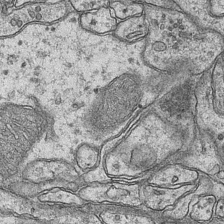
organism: Mouse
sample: CA1 Hippocampus